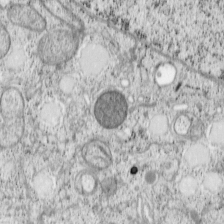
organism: African green monkey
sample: COS-7 cells